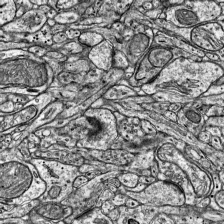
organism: Mouse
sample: Visual Cortex